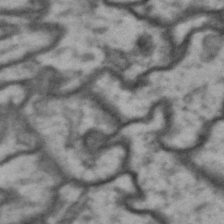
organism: Drosophila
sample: Brain